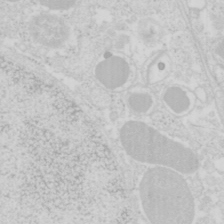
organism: Mouse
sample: Pancreas